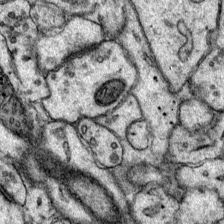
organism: Mouse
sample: Primary visual cortex